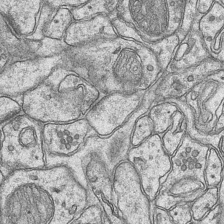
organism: Mouse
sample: CA1 Hippocampus